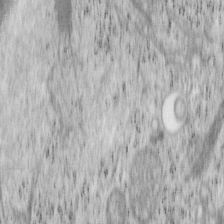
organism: Human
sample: HeLa cells